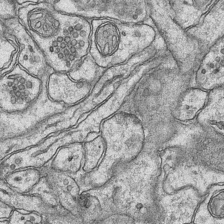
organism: Mouse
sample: CA1 Hippocampus